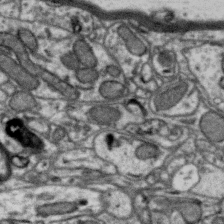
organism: Zebra finch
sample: Brain